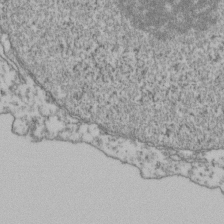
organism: Human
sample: Activated Jurkat CD4+ T cells